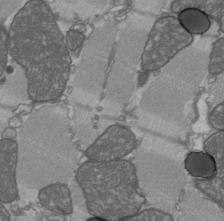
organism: C57BL Mouse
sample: Heart